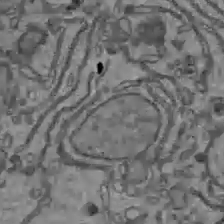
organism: C57BL Mouse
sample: Liver